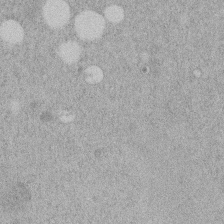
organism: C. elegans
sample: C. elegans embryo early stage